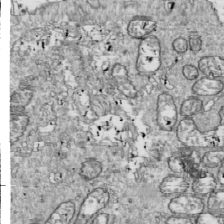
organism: Drosophila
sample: Cell division; meiosis; drosophila spermatocytes